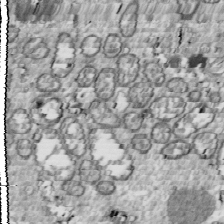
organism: Drosophila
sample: Cell division; meiosis; drosophila spermatocytes